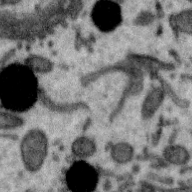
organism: Zebra finch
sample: Brain